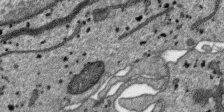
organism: Human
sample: Lung epithelial cells, uninfected (mock) control